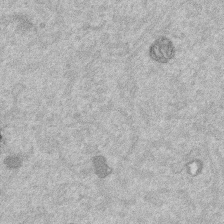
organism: Mouse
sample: Dividing mouse embryo 1 cell stage